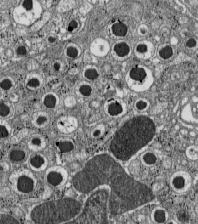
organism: C57BL Mouse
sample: Pancreatic islet